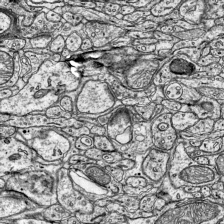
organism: Mouse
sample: Visual Cortex